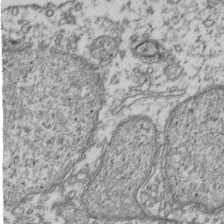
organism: Human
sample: Activated Jurkat CD4+ T cells